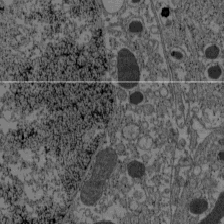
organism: C57BL Mouse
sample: Pancreatic islet